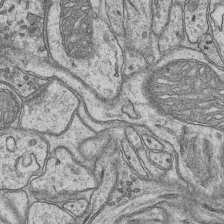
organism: Mouse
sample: CA1 Hippocampus